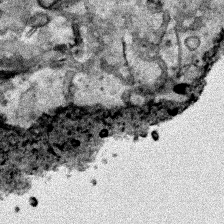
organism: Human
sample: Mitochondria in HCT116 cells